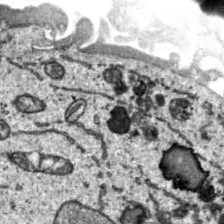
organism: Human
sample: HeLa cells